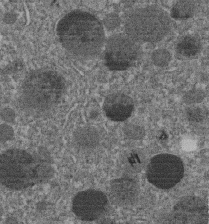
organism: C. elegans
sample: C. elegans embryo early stage